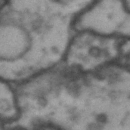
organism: Drosophila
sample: Brain